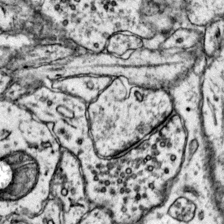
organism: Mouse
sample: Primary visual cortex